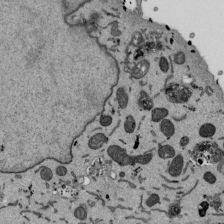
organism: Mouse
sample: ED-1 cell nuclei; centrioles